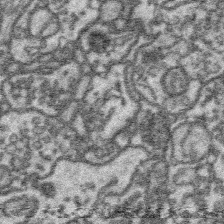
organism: Platynereis dumerilii